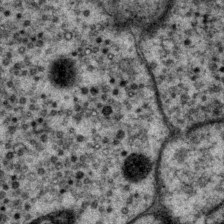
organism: P. pacificus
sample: Pharynx